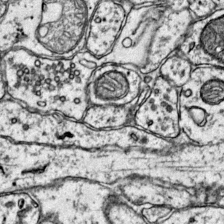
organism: Mouse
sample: Primary visual cortex